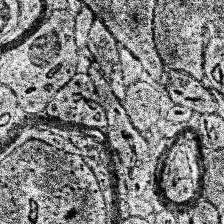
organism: Human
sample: Temporal Lobe